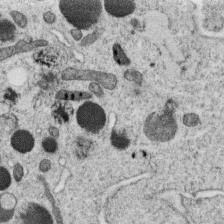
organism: C. elegans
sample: C. elegans oocyte; sperm cells